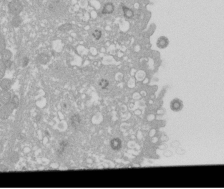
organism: Xenopus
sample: Cilia; centrioles in frog embryo cells